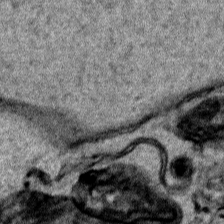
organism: Human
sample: Mitochondria in HCT116 cells